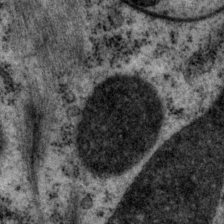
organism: P. pacificus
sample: Pharynx